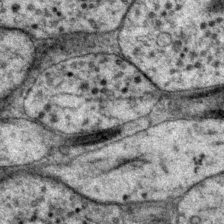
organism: P. pacificus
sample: Pharynx